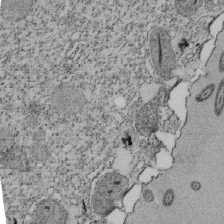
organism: Tetrahymena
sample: Cilia in tetrahymena